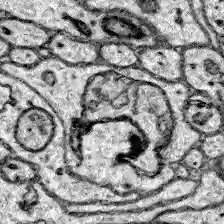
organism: Zebrafish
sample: Brain